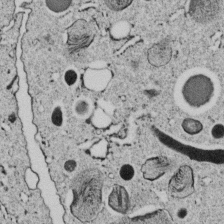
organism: C. elegans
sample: C. elegans embryo early stage